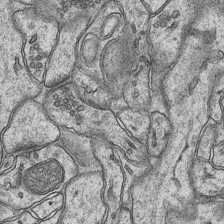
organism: Mouse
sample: CA1 Hippocampus